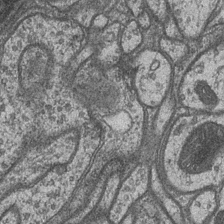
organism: Drosophila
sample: Optic medulla